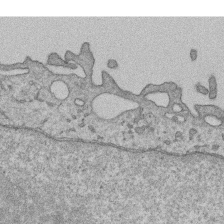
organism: Human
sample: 1205lu cells